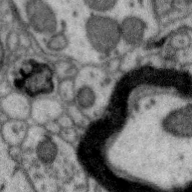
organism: Zebra finch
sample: Brain